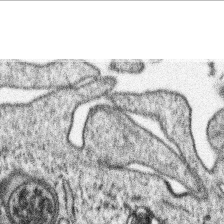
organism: Human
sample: HeLa cells